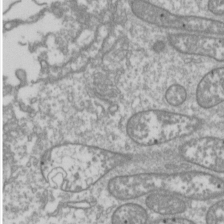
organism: Drosophila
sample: Cell division; meiosis; drosophila spermatocytes